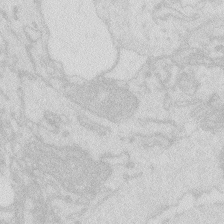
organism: Zebrafish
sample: Macrophage